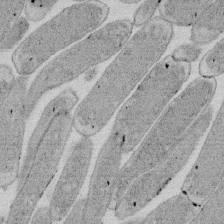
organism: E. coli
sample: Bacterial nucleoid